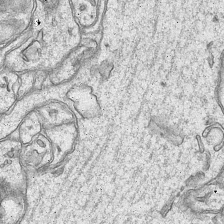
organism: Mouse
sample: CA1 Hippocampus